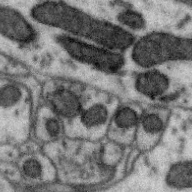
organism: Zebra finch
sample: Brain